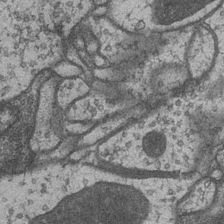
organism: Drosophila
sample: Optic medulla